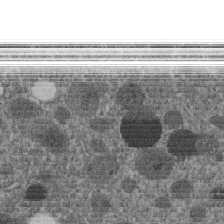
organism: C. elegans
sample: C. elegans embryo early stage